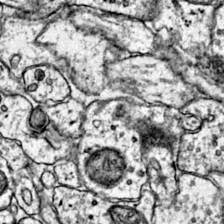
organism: Mouse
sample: Primary visual cortex